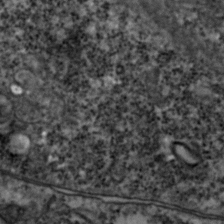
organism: Zebrafish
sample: Zebrafish embryo